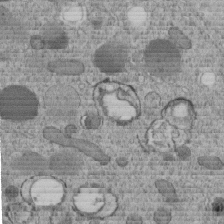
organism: C. elegans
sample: C. elegans embryo early stage